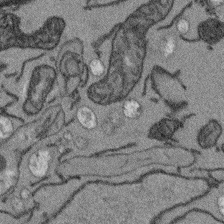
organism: Arabidopsis thaliana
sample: Root tip